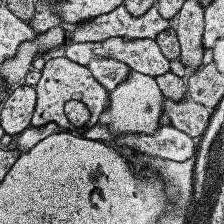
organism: Human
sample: Temporal Lobe